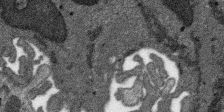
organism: Human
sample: Lung epithelial cells infected with SARS-CoV-2